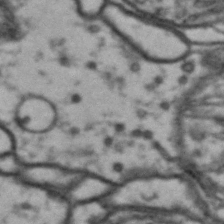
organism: Drosophila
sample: Brain